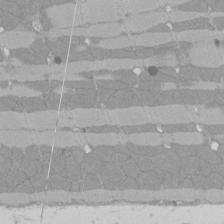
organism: Rat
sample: Left ventricle